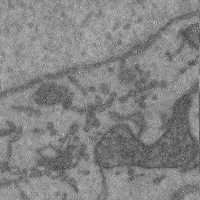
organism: Mouse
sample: Cerebral cortex